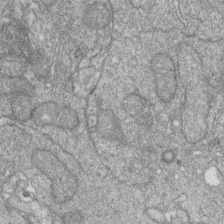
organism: Zebrafish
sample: Cilia; retinal pigment epithelium